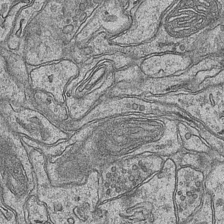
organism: Mouse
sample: CA1 Hippocampus